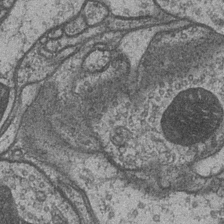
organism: Drosophila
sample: Optic medulla